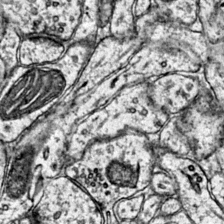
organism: Mouse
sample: Primary visual cortex